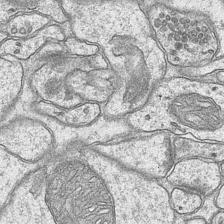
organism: Mouse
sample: CA1 Hippocampus